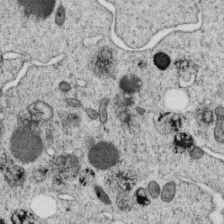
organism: C. elegans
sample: C. elegans oocyte; sperm cells